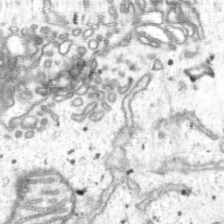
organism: Human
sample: HeLa cells